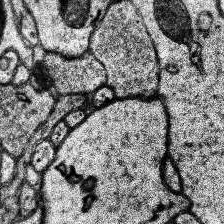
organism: Human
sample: Temporal Lobe